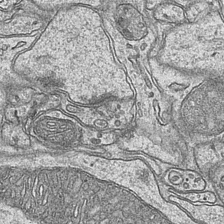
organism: Mouse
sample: CA1 Hippocampus